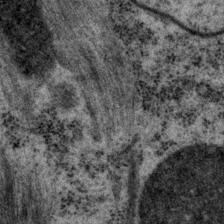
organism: P. pacificus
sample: Pharynx